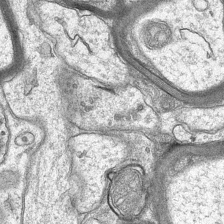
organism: Mouse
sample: CA1 Hippocampus